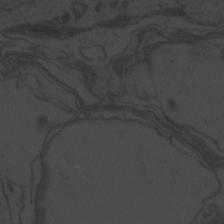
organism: Zebrafish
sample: Macrophage infected with Toxoplasma gondii